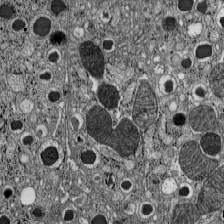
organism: C57BL Mouse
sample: Pancreatic islet